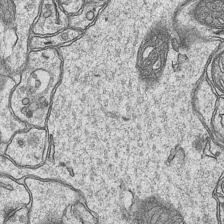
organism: Mouse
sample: CA1 Hippocampus